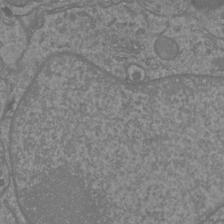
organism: Mouse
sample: Cortical neurons